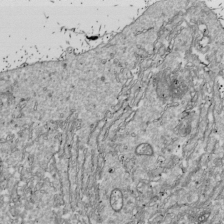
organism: Drosophila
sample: Cell division; meiosis; drosophila spermatocytes